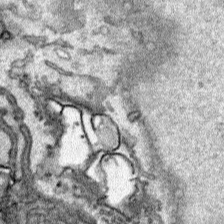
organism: Human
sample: Mitochondria in HCT116 cells